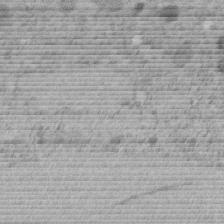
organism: C. elegans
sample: C. elegans embryo early stage